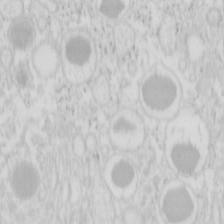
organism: Mouse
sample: Pancreas